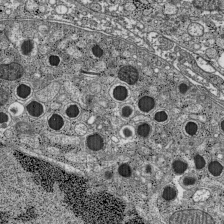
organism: C57BL Mouse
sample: Pancreatic islet